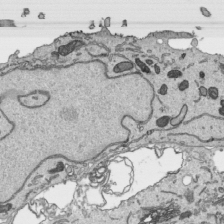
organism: Human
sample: Mitochondria in HCT116 cells